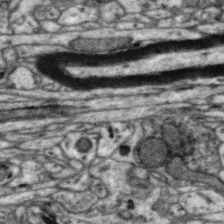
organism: Zebra finch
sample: Brain